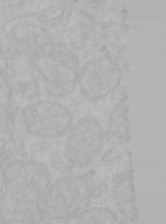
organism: Mouse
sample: Choroid plexus